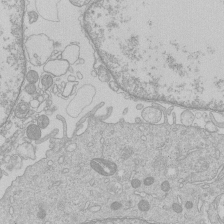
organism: Human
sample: Macrophage cells